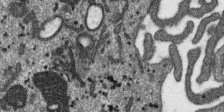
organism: Human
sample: Lung epithelial cells infected with SARS-CoV-2